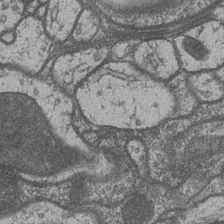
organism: Drosophila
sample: Optic medulla